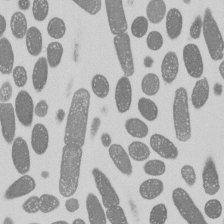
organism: E. coli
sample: Bacterial nucleoid